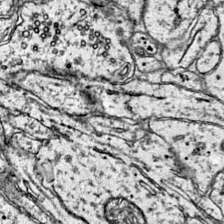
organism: Mouse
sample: Primary visual cortex